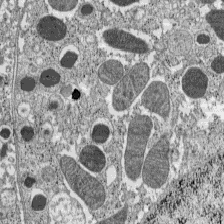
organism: C57BL Mouse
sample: Pancreatic islet